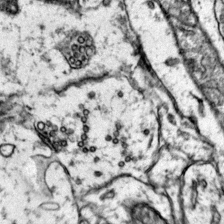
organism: Mouse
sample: Primary visual cortex